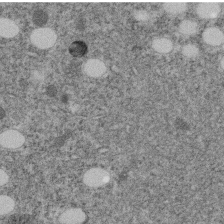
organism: C. elegans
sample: C. elegans embryo early stage